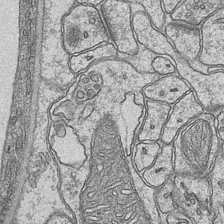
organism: Mouse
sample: CA1 Hippocampus